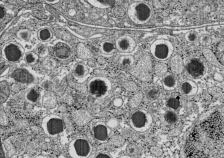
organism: C57BL Mouse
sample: Pancreatic islet